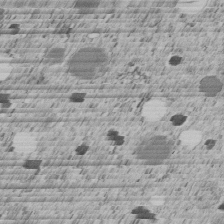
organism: C. elegans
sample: C. elegans embryo early stage